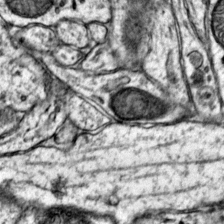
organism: Mouse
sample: Primary visual cortex